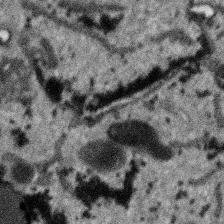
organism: Human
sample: Lung epithelial cells infected with SARS-CoV-2